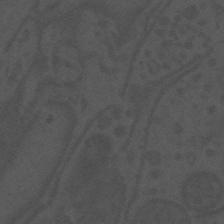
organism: Mouse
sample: Suprachiasmatic nucleus